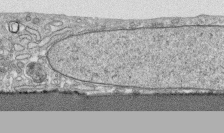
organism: Human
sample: CRL-1474